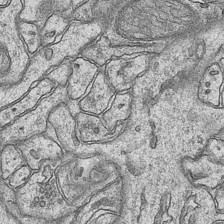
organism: Mouse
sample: CA1 Hippocampus